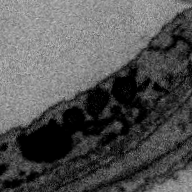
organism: Zebra finch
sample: Brain